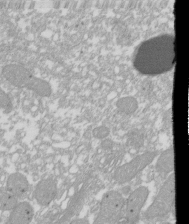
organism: Xenopus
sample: Cilia; centrioles in frog embryo cells